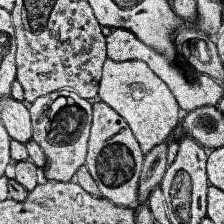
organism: Human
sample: Temporal Lobe